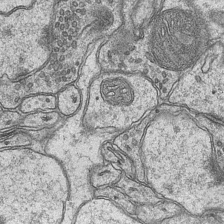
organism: Mouse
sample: CA1 Hippocampus